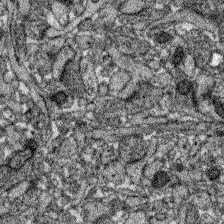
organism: Zebrafish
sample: Larval olfactory bulb